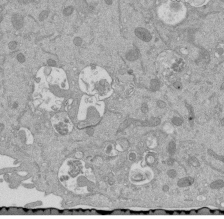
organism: Mouse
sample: ED-1 cell nuclei; centrioles